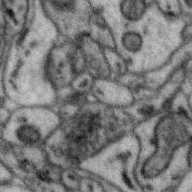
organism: Zebra finch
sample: Brain